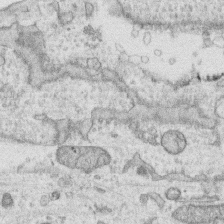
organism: Human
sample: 1205lu cells